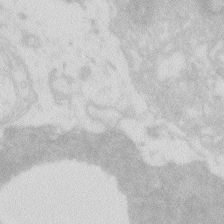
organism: Zebrafish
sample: Macrophage